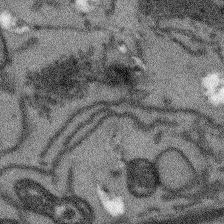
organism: Arabidopsis thaliana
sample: Root tip